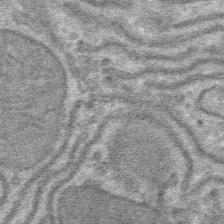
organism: Mouse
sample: Mouse hepatocytes